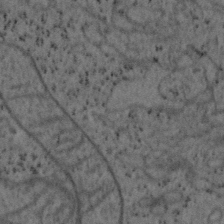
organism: Human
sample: HeLa cells